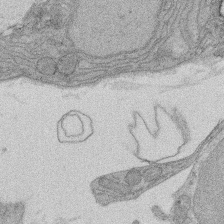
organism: Rat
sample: Salivary granule